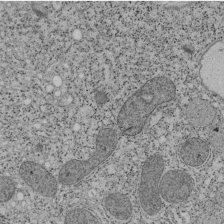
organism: Tetrahymena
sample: Cilia in tetrahymena